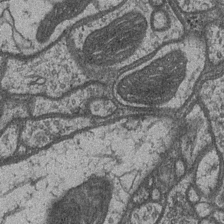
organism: Drosophila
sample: Optic medulla